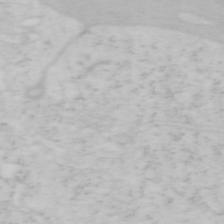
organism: Mouse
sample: OT-I killer T cells with ID8 ovarian cancer cells